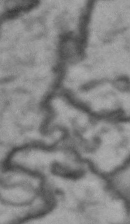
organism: Drosophila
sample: Brain